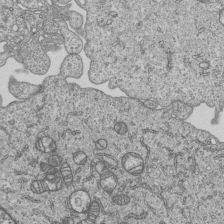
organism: Human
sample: MDA-MB-231 cells